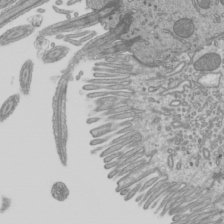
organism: Mouse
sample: Cilia; mouse epididymis